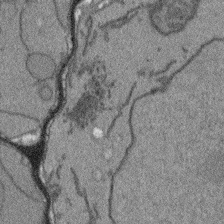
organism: Arabidopsis thaliana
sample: Root tip